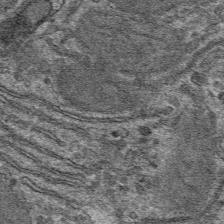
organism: Mouse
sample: Mouse hepatocytes